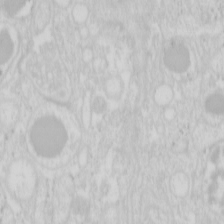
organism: Mouse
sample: Pancreas